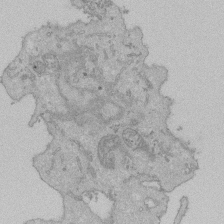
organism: Human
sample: Activated Jurkat CD4+ T cells